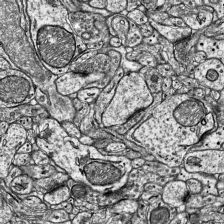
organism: Mouse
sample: Visual Cortex